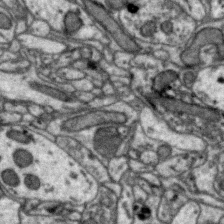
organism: Zebra finch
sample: Brain